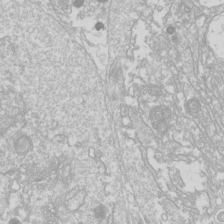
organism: Drosophila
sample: Cell division; meiosis; drosophila spermatocytes